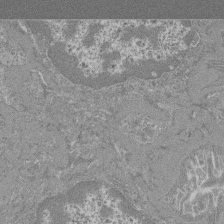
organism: Mouse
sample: Glomerulus